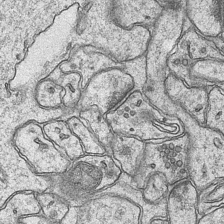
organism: Mouse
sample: CA1 Hippocampus